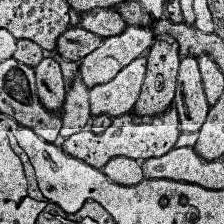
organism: Human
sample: Temporal Lobe